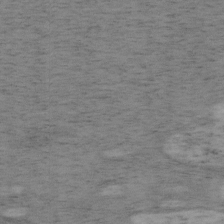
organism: Mouse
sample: OT-I killer T cells with ID8 ovarian cancer cells